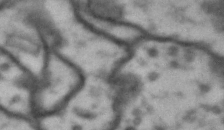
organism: Drosophila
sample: Brain